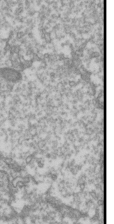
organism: Drosophila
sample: Cell division; meiosis; drosophila spermatocytes